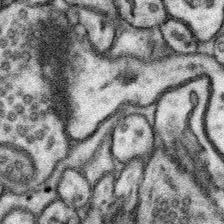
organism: Mouse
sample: Somatosensory cortex neuropil